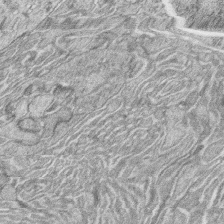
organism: Zebrafish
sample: synaptic ribbons in rod cells and cone cells